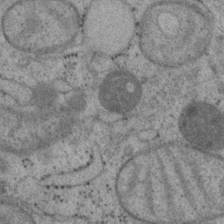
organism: Human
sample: HeLa cells